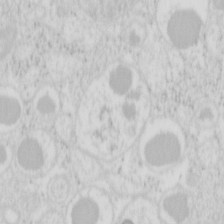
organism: Mouse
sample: Pancreas